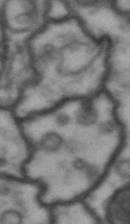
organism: Drosophila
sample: Brain